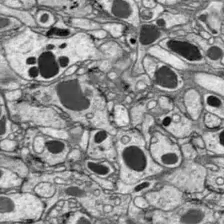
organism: Drosophila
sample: Optic lobe